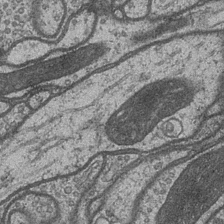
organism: Drosophila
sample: Optic medulla